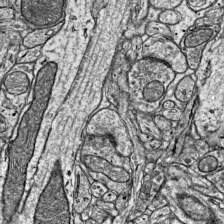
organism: Mouse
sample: Visual Cortex